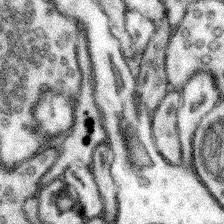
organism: Mouse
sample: Somatosensory cortex neuropil